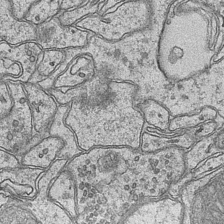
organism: Mouse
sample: CA1 Hippocampus